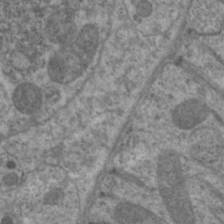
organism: C. elegans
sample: Pharynx